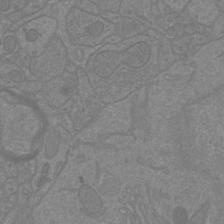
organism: Mouse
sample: Cortical neurons